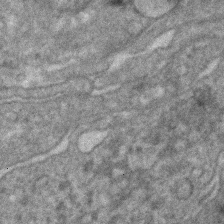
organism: Human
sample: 1205lu cells